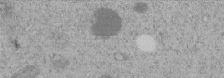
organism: C. elegans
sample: C. elegans embryo early stage